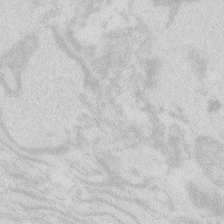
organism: Zebrafish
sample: Macrophage